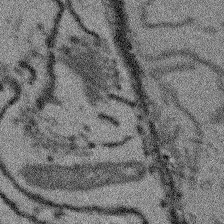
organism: Arabidopsis thaliana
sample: Root tip